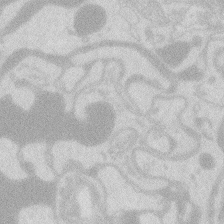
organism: Zebrafish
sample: Macrophage